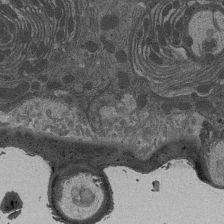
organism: Drosophila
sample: Antenna